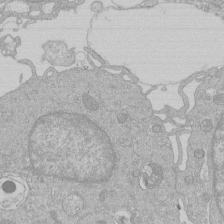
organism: Human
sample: Macrophage cells